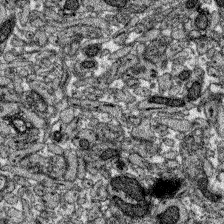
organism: Zebrafish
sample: Larval olfactory bulb